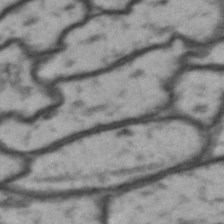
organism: Drosophila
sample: Brain